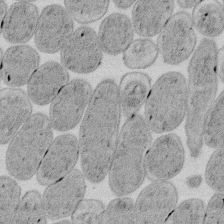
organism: E. coli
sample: Bacterial nucleoid